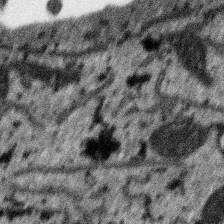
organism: Human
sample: Lung epithelial cells infected with SARS-CoV-2